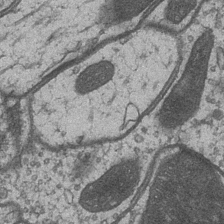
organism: Drosophila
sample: Optic medulla